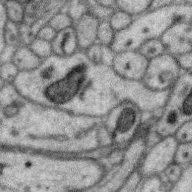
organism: Zebra finch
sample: Brain